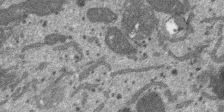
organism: Human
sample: Lung epithelial cells infected with SARS-CoV-2